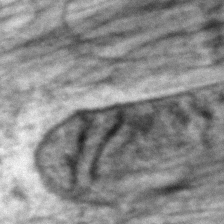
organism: Zebrafish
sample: Zebrafish embryo